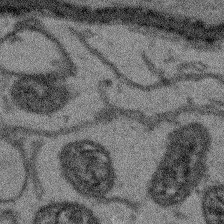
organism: Arabidopsis thaliana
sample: Root tip